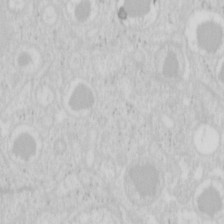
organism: Mouse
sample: Pancreas